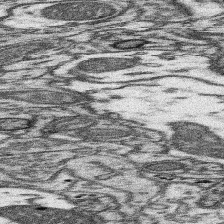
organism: Mouse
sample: Somatosensory cortex neuropil